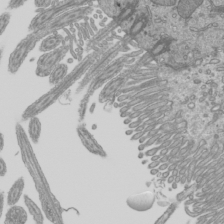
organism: Mouse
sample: Cilia; mouse epididymis